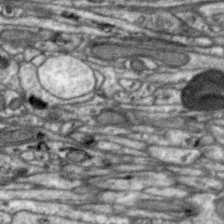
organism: Zebra finch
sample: Brain